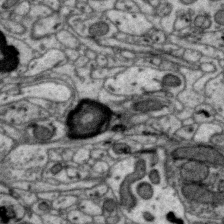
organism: Zebra finch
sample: Brain